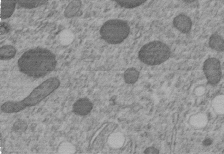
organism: C. elegans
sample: C. elegans embryo early stage